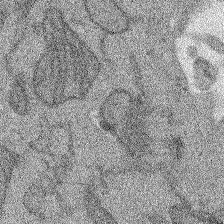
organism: Human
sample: HeLa cells